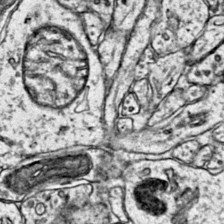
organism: Mouse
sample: Primary visual cortex